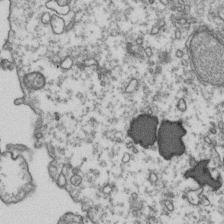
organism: Human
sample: Activated Jurkat CD4+ T cells